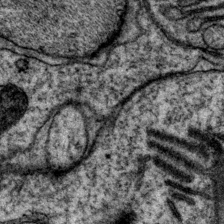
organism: P. pacificus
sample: Pharynx